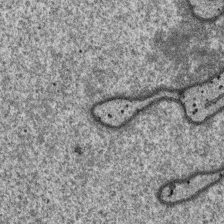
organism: Human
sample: Lung epithelial cells, uninfected (mock) control